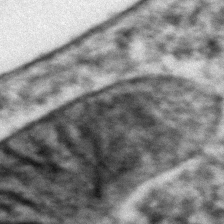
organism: Zebrafish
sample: Zebrafish embryo